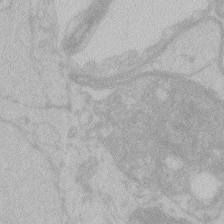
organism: Zebrafish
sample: Macrophage infected with Toxoplasma gondii